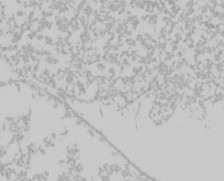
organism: Mouse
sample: Cancer cell death in ED-1 cells